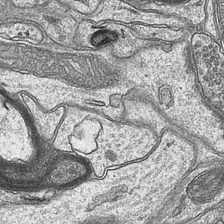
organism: Mouse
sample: CA1 Hippocampus